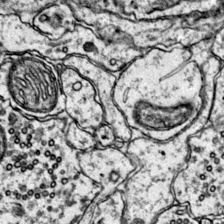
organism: Mouse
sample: Primary visual cortex